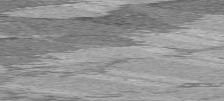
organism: C57BL Mouse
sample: Heart